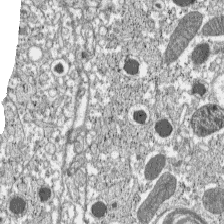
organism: C57BL Mouse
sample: Pancreatic islet